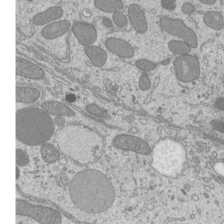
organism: Mouse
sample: Cilia; mouse epididymis